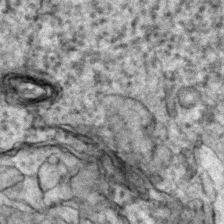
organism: Zebrafish